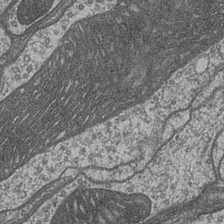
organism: Drosophila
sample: Optic medulla